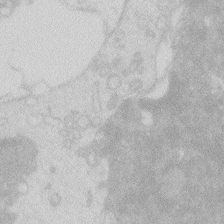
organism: Zebrafish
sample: Macrophage